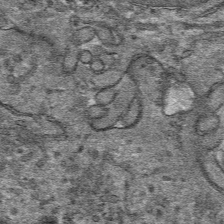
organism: Mouse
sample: Mouse hepatocytes